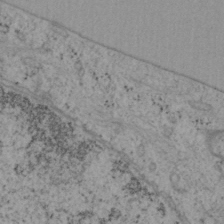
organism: Human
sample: HeLa cells